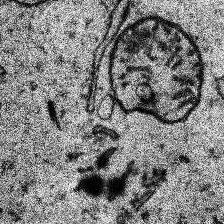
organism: Human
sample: Temporal Lobe